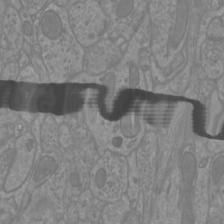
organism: Mouse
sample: Cortical neurons